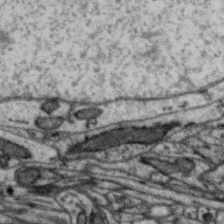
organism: Zebra finch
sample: Brain